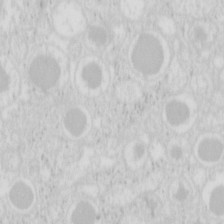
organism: Mouse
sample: Pancreas